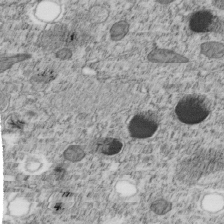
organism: C. elegans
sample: C. elegans embryo early stage